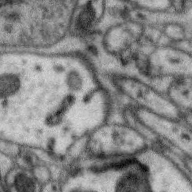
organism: Zebra finch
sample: Brain